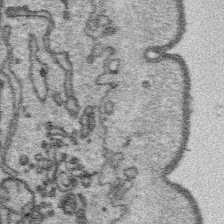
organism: Platynereis dumerilii